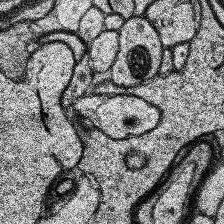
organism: Human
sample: Temporal Lobe